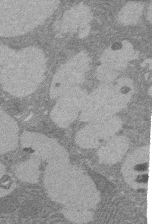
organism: Rat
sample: Salivary granule